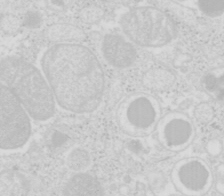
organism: Mouse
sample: Pancreas